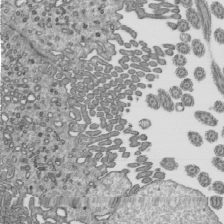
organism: Mouse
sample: Mouse epididymis efferent ductule cilia